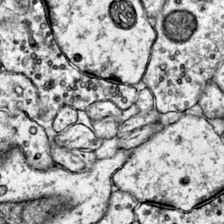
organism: Mouse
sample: Primary visual cortex